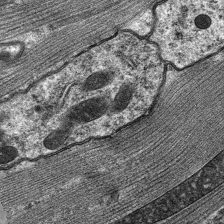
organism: C. elegans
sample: Pharynx